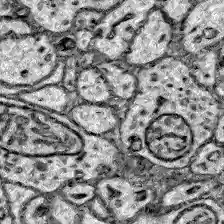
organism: Zebrafish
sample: Brain